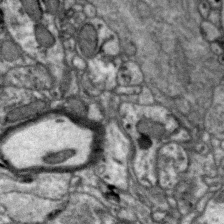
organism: Zebra finch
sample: Brain